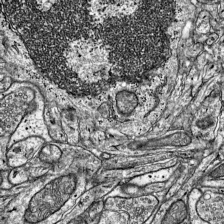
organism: Mouse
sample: Visual Cortex